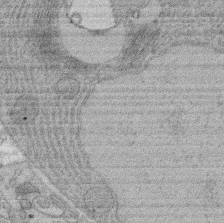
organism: Rat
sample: Salivary granule